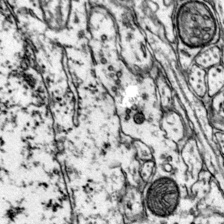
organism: Mouse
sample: Primary visual cortex